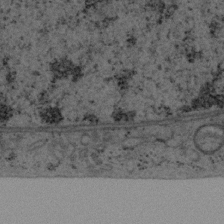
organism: Human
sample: HeLa cells